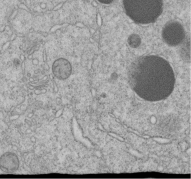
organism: C. elegans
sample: C. elegans embryo early stage